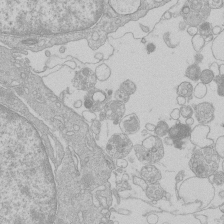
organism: Human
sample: Macrophage cells